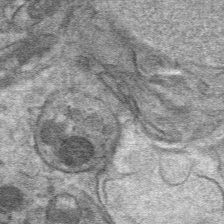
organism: Mouse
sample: Mouse hepatocytes